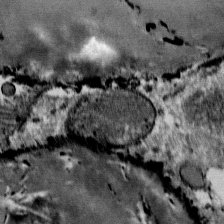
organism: Mouse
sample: Mouse Salivary gland